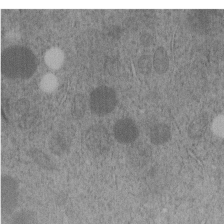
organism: C. elegans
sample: C. elegans embryo early stage